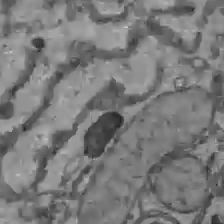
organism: C57BL Mouse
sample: Liver